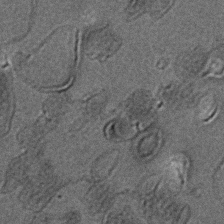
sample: Trachea